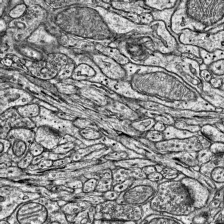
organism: Mouse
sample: Visual Cortex